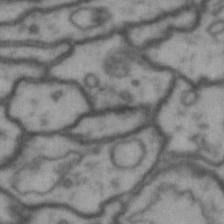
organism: Drosophila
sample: Brain